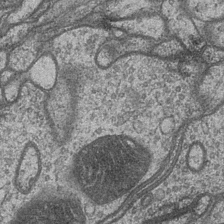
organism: Drosophila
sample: Optic medulla